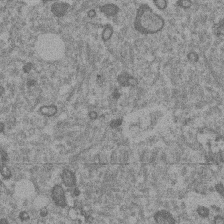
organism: Mouse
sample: Dividing mouse embryo 1 cell stage